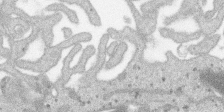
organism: Human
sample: Lung epithelial cells infected with SARS-CoV-2